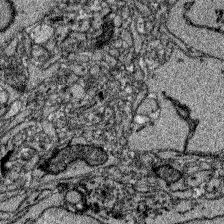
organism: Zebrafish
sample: Larval olfactory bulb